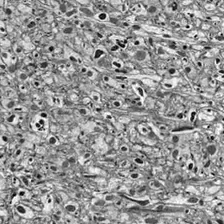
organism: Drosophila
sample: Optic lobe